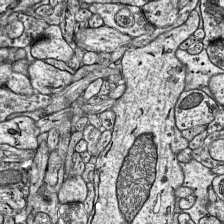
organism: Mouse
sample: Visual Cortex